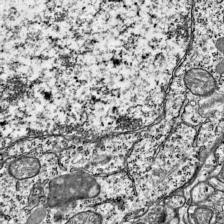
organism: Mouse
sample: Visual Cortex